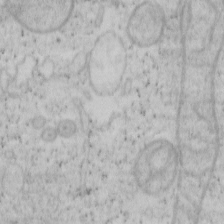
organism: Human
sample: HeLa cells